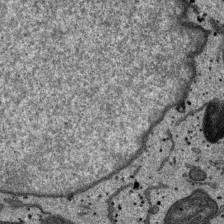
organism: Human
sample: Lung epithelial cells, uninfected (mock) control